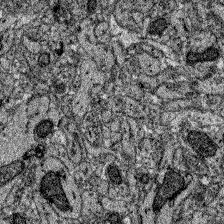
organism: Zebrafish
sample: Larval olfactory bulb